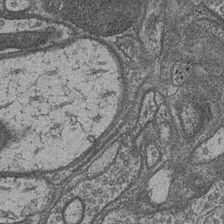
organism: Drosophila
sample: Optic medulla